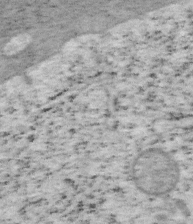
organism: Mouse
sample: OT-I killer T cells with ID8 ovarian cancer cells